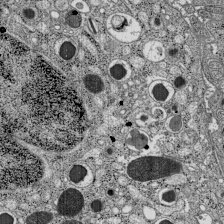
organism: C57BL Mouse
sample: Pancreatic islet